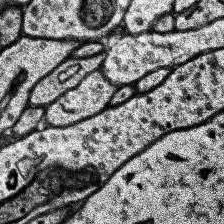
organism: Human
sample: Temporal Lobe